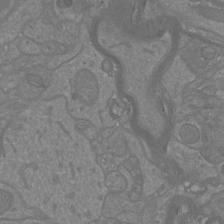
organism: Mouse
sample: Cortical neurons